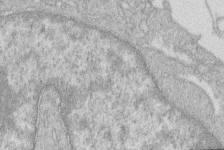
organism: Human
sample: Macrophage cells